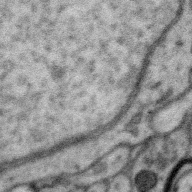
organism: Zebra finch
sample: Brain